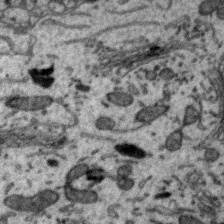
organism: Zebra finch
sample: Brain